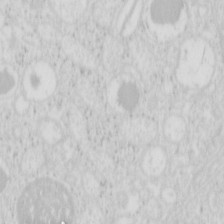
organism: Mouse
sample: Pancreas